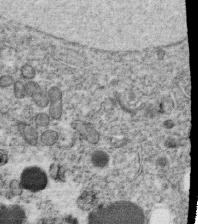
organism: C. elegans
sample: C. elegans oocyte; sperm cells